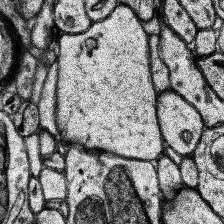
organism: Human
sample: Temporal Lobe